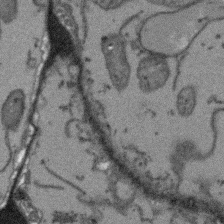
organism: Arabidopsis thaliana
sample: Root tip